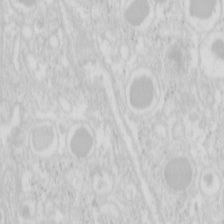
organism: Mouse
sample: Pancreas